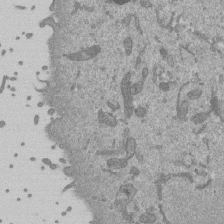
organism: Mouse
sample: ED-1 cell nuclei; centrioles